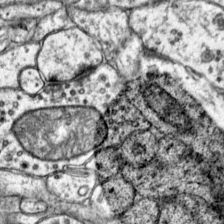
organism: Mouse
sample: Primary visual cortex